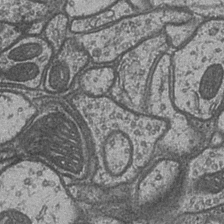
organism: Drosophila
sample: Optic medulla